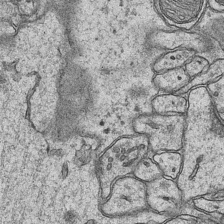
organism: Mouse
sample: CA1 Hippocampus